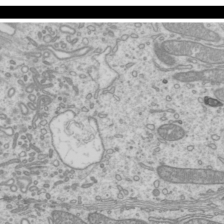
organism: Mouse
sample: Cilia; mouse epididymis